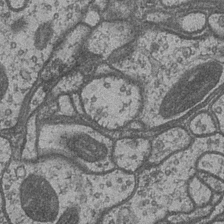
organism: Drosophila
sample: Optic medulla